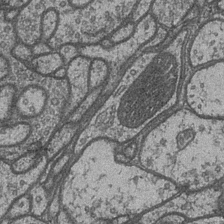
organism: Drosophila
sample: Optic medulla